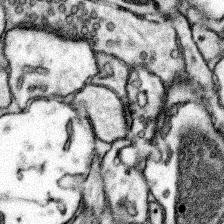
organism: Mouse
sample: Somatosensory cortex neuropil